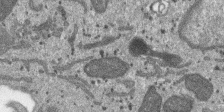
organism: Human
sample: Lung epithelial cells infected with SARS-CoV-2